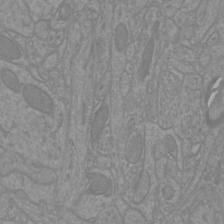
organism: Mouse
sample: Cortical neurons